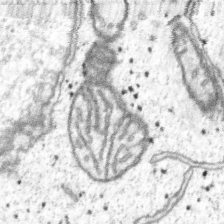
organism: Human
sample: HeLa cells